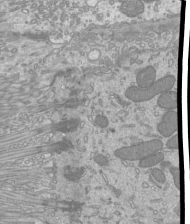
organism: Mouse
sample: Cilia; mouse epididymis